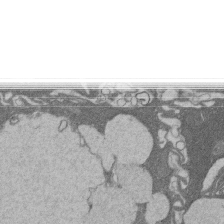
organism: Rat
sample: Salivary granule